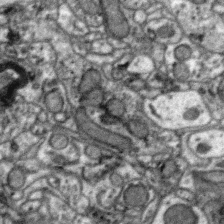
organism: Zebra finch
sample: Brain